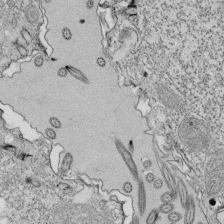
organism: Tetrahymena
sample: Cilia in tetrahymena